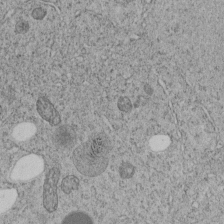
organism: C. elegans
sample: C. elegans embryo early stage